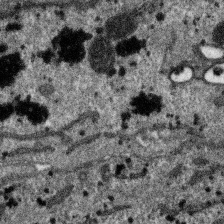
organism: Human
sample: Lung epithelial cells infected with SARS-CoV-2